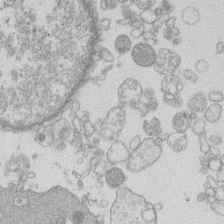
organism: Human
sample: Macrophage cells